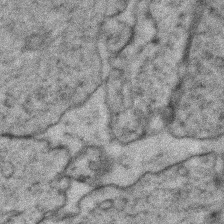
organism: Zebrafish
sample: Zebrafish embryo